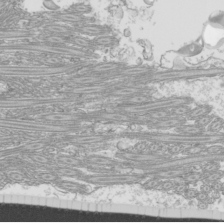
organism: Mouse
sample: Cilia; mouse epididymis